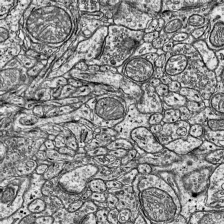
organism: Mouse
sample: Visual Cortex